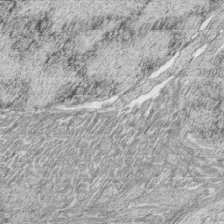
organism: Zebrafish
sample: synaptic ribbons in rod cells and cone cells